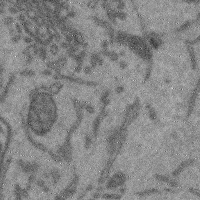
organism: Mouse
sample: Cerebral cortex